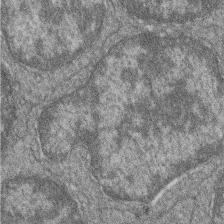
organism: Zebrafish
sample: Cilia; retinal pigment epithelium